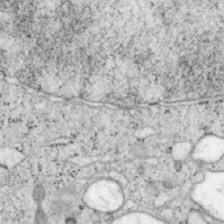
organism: Mouse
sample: OT-I killer T cells with ID8 ovarian cancer cells